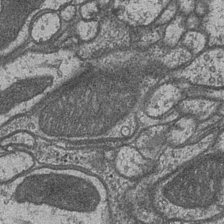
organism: Drosophila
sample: Optic medulla